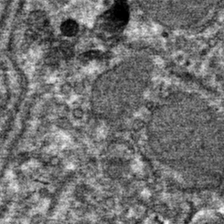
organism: Mouse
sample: Mouse hepatocytes